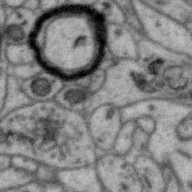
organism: Zebra finch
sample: Brain